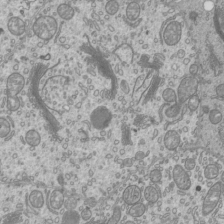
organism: Mouse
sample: Cilia; mouse epididymis